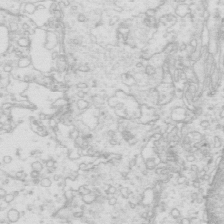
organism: Mouse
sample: Multiciliated cells